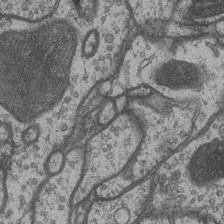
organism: Drosophila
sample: Optic medulla